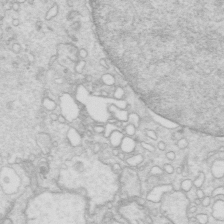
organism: Mouse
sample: Multiciliated cells